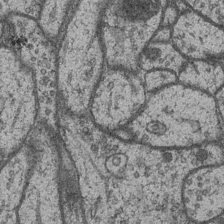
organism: Drosophila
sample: Optic medulla